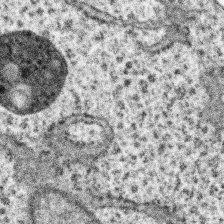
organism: Human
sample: HeLa cells